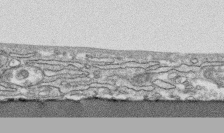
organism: Human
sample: CRL-1474